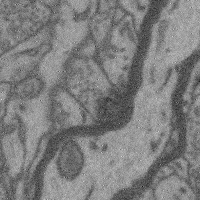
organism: Mouse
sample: Cerebral cortex